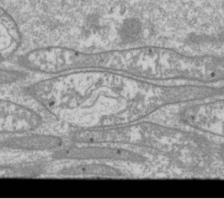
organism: Drosophila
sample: Cell division; meiosis; drosophila spermatocytes